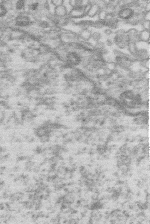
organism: Human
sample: Macrophage cells